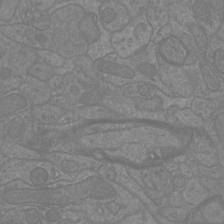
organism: Mouse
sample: Cortical neurons